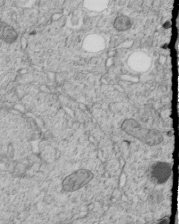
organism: C. elegans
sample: C. elegans embryo early stage